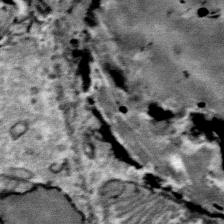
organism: Mouse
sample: Mouse Salivary gland